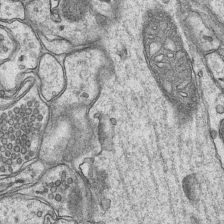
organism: Mouse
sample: CA1 Hippocampus